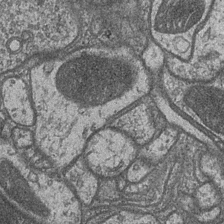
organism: Drosophila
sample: Optic medulla